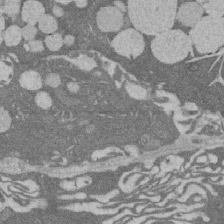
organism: Rat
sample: Salivary granule